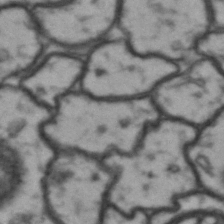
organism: Drosophila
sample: Brain